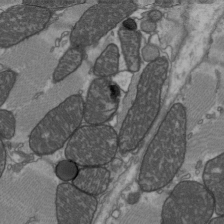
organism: C57BL Mouse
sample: Heart